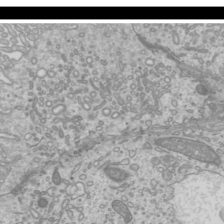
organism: Mouse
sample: Cilia; mouse epididymis